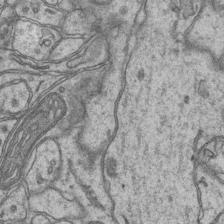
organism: Mouse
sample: CA1 Hippocampus